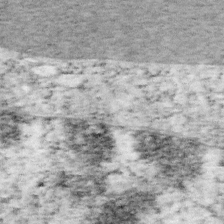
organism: Mouse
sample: OT-I killer T cells with ID8 ovarian cancer cells